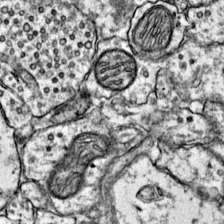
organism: Mouse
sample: Primary visual cortex